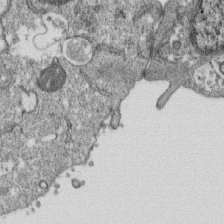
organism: African green monkey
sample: Vero E6 cells infected with SARS-CoV-2